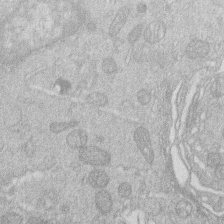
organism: Human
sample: Macrophage cells